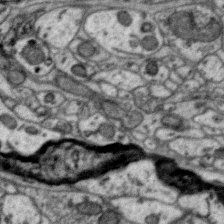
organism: Zebra finch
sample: Brain